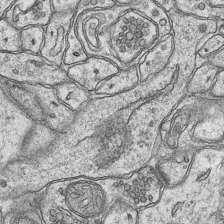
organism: Mouse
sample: CA1 Hippocampus